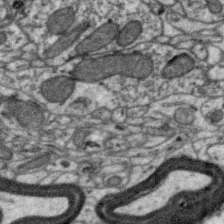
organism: Zebra finch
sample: Brain